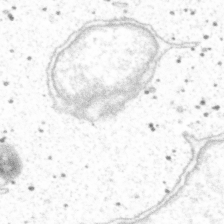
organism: Human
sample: HeLa cells